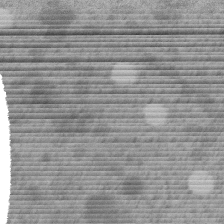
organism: C. elegans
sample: C. elegans embryo early stage